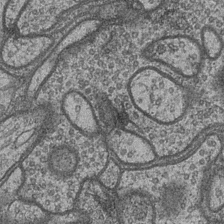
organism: Drosophila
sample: Optic medulla